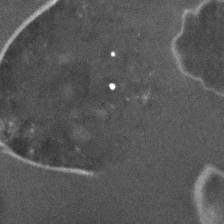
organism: C. elegans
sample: C. elegans embryo